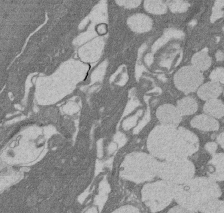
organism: Rat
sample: Salivary granule